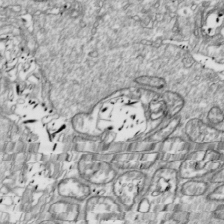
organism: Drosophila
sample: Cell division; meiosis; drosophila spermatocytes